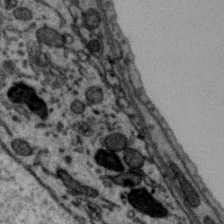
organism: Zebra finch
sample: Brain